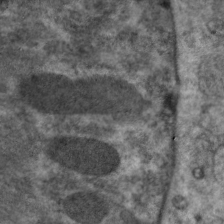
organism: C. elegans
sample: Pharynx